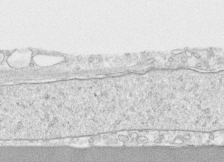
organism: Human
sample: CRL-1474